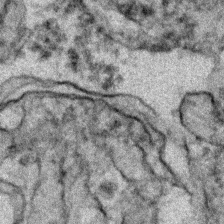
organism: Zebrafish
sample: Zebrafish embryo